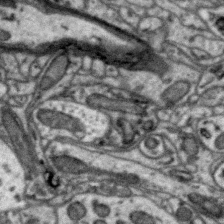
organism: Zebra finch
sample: Brain